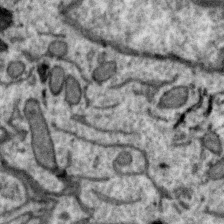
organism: Zebra finch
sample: Brain